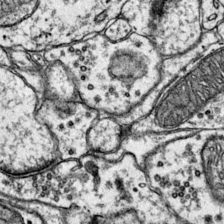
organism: Mouse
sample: Primary visual cortex